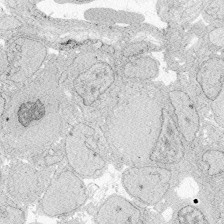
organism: Zebrafish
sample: Whole-Brain